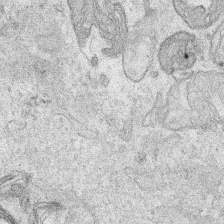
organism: Human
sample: Mitochondria in HCT116 cells